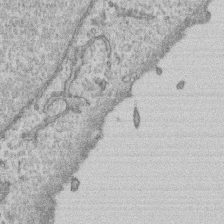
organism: Human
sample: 1205lu cells